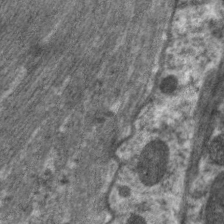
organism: C. elegans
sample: Pharynx